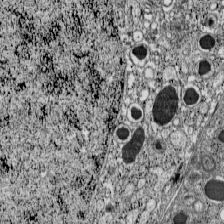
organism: C57BL Mouse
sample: Pancreatic islet